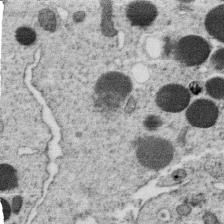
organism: C. elegans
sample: C. elegans oocyte; sperm cells